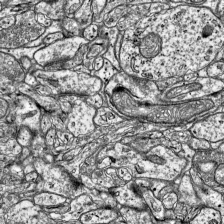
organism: Mouse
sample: Visual Cortex